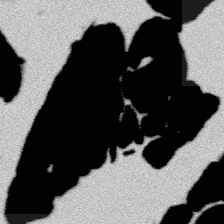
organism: Platynereis dumerilii